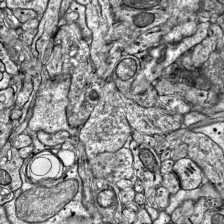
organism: Mouse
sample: Visual Cortex